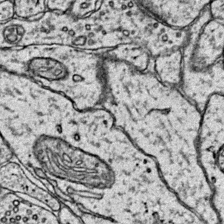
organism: Mouse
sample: Primary visual cortex